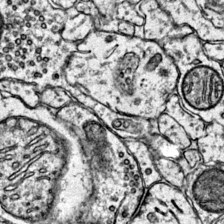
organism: Mouse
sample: Primary visual cortex